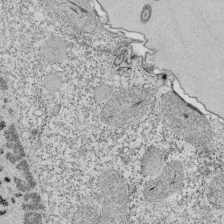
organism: Tetrahymena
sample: Cilia in tetrahymena